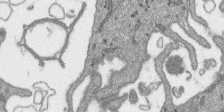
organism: Human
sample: Lung epithelial cells infected with SARS-CoV-2